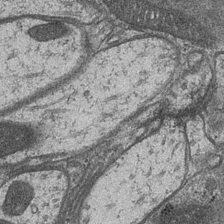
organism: Drosophila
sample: Optic medulla